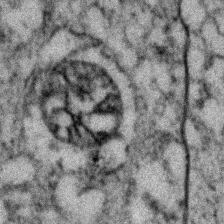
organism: Zebrafish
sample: Zebrafish embryo